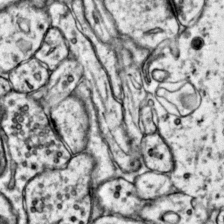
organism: Mouse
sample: Primary visual cortex